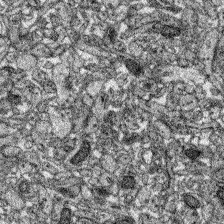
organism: Zebrafish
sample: Larval olfactory bulb